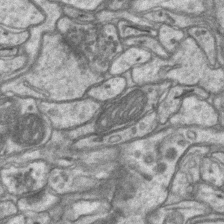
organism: Mouse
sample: CA1 Hippocampus